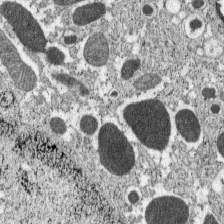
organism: C57BL Mouse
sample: Pancreatic islet